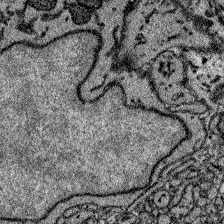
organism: Zebrafish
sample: Larval olfactory bulb